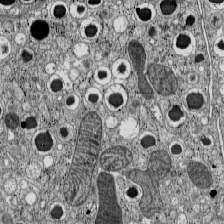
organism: C57BL Mouse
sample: Pancreatic islet